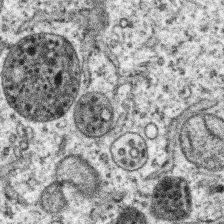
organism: Human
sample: HeLa cells